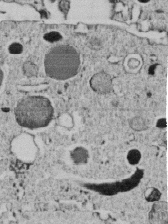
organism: C. elegans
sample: C. elegans embryo early stage